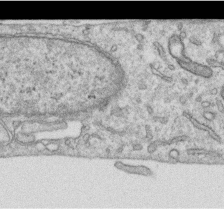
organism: Human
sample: Centriole in RPE cells